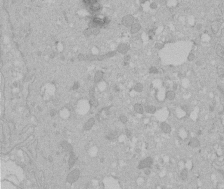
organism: Human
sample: Melanocyte Keratinocyte synapse skin construct